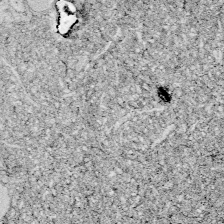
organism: Zebrafish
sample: Whole-Brain